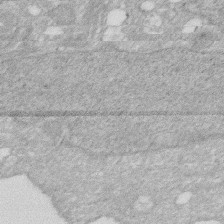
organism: Human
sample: HIV infected U937 cells